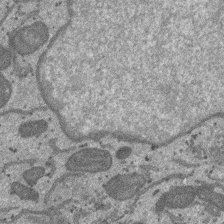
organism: Human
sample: Lung epithelial cells infected with SARS-CoV-2